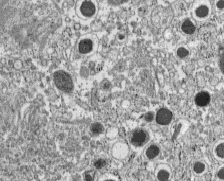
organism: C57BL Mouse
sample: Pancreatic islet